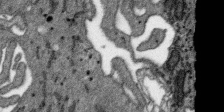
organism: Human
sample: Lung epithelial cells, uninfected (mock) control